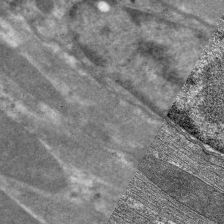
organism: C. elegans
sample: Pharynx